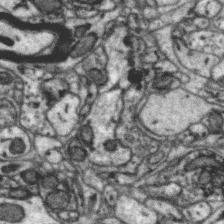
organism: Zebra finch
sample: Brain